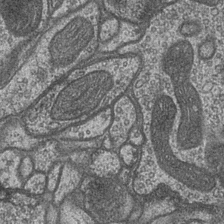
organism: Drosophila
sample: Optic medulla